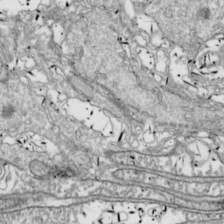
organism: Drosophila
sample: Cell division; meiosis; drosophila spermatocytes